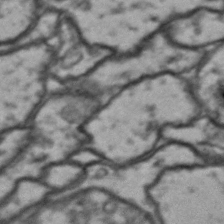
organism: Drosophila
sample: Brain